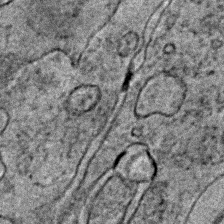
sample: Trachea